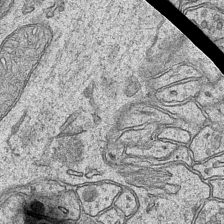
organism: Mouse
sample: CA1 Hippocampus